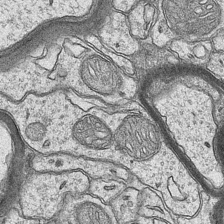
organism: Mouse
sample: CA1 Hippocampus